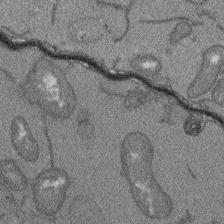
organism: Arabidopsis thaliana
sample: Root tip